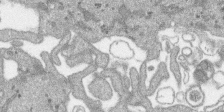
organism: Human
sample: Lung epithelial cells infected with SARS-CoV-2